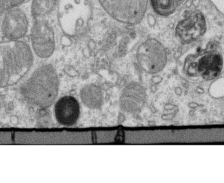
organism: Mouse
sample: Activated OT-1 CD8+ T cells